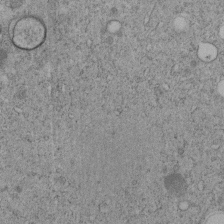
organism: C. elegans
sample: C. elegans embryo early stage